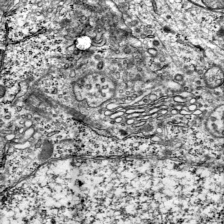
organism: Mouse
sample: Visual Cortex